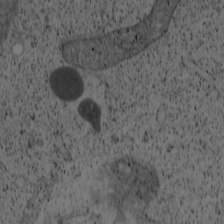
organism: African green monkey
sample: COS-7 cells